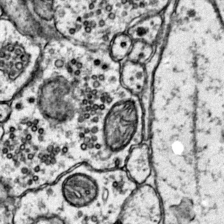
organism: Mouse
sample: Primary visual cortex